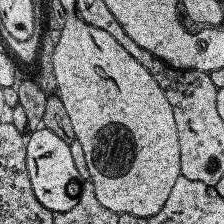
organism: Human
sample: Temporal Lobe